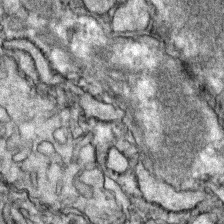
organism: Zebrafish